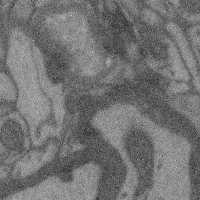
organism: Mouse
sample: Cerebral cortex